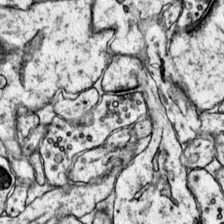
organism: Mouse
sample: Primary visual cortex